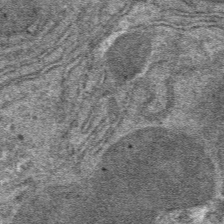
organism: Mouse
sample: Mouse hepatocytes